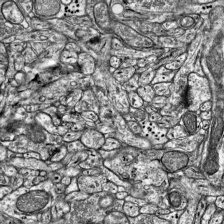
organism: Mouse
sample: Visual Cortex